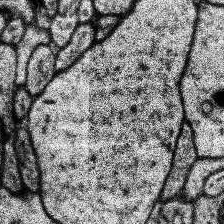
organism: Human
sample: Temporal Lobe